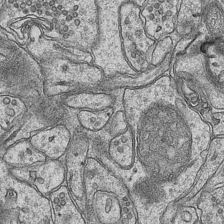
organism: Mouse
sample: CA1 Hippocampus